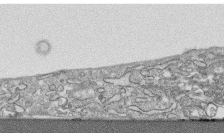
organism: Human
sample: CRL-1474